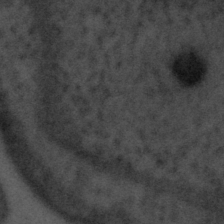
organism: Tuwongella immobilis